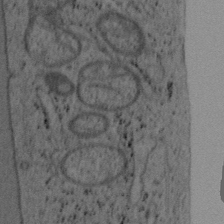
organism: Human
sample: HeLa cells